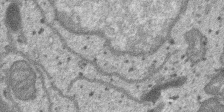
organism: Human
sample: Lung epithelial cells infected with SARS-CoV-2